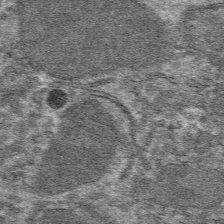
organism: Mouse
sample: Mouse hepatocytes